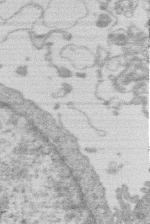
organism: Human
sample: Macrophage cells